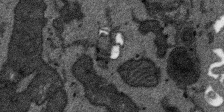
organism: Human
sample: Lung epithelial cells infected with SARS-CoV-2